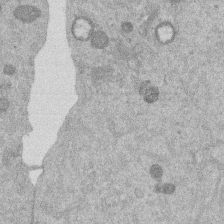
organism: Mouse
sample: Dividing mouse embryo 1 cell stage